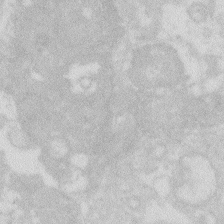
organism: Zebrafish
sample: Macrophage